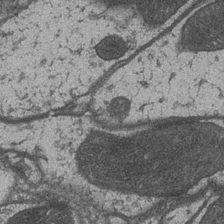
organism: Drosophila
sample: Optic medulla